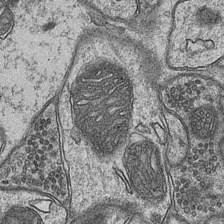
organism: Mouse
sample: CA1 Hippocampus